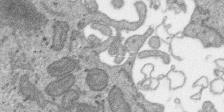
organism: Human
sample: Lung epithelial cells infected with SARS-CoV-2